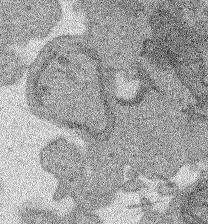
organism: Human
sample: HeLa cells